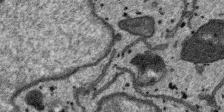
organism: Human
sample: Lung epithelial cells, uninfected (mock) control